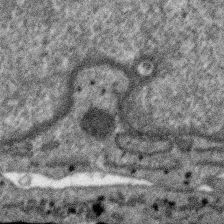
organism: Human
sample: Lung epithelial cells infected with SARS-CoV-2